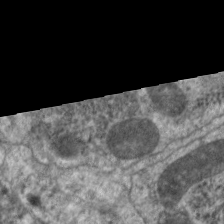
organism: C. elegans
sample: Pharynx